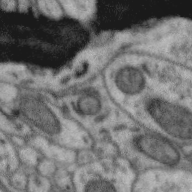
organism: Zebra finch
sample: Brain